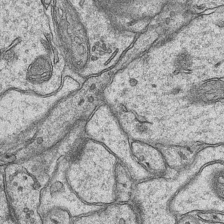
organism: Mouse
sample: CA1 Hippocampus